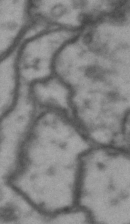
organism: Drosophila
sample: Brain